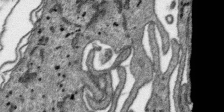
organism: Human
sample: Lung epithelial cells, uninfected (mock) control